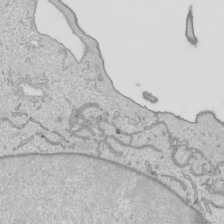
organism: Human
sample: Mitochondria in HCT116 cells